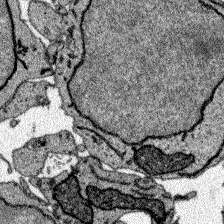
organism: Zebrafish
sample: Larval olfactory bulb